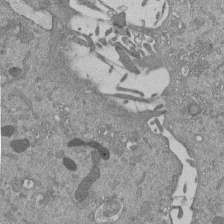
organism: Mouse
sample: ED-1 cell nuclei; centrioles